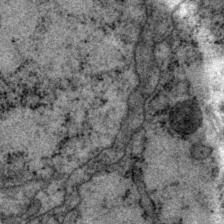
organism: P. pacificus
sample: Pharynx